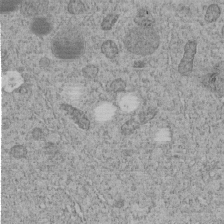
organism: C. elegans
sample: C. elegans embryo early stage